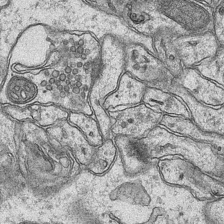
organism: Mouse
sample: CA1 Hippocampus